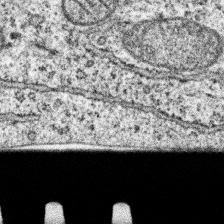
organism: Human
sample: HeLa cells